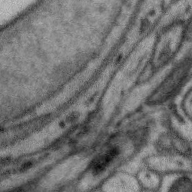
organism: Zebra finch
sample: Brain